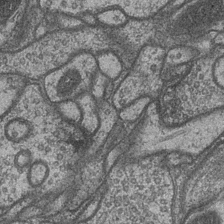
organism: Drosophila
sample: Optic medulla